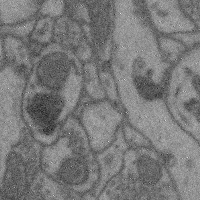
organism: Mouse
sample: Cerebral cortex